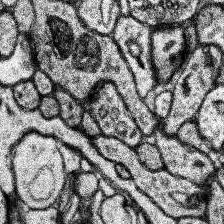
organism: Human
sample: Temporal Lobe